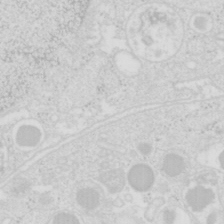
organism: Mouse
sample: Pancreas